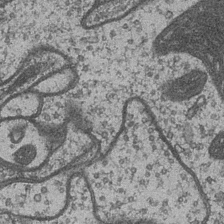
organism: Drosophila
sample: Optic medulla